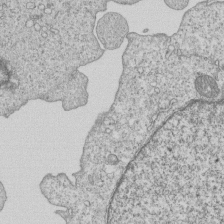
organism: Human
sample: MDA-MB-231 cells